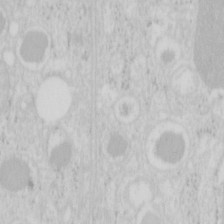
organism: Mouse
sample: Pancreas